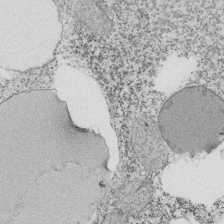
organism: Tetrahymena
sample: Cilia in tetrahymena